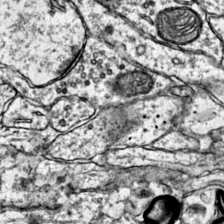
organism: Mouse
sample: Primary visual cortex